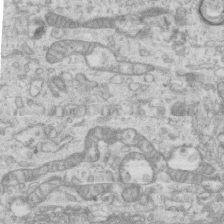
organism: Mouse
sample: Centriole in ependymal cells